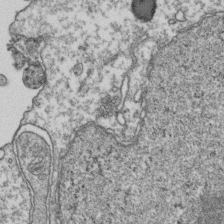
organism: Human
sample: Activated Jurkat CD4+ T cells